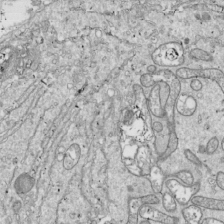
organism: Drosophila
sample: Cell division; meiosis; drosophila spermatocytes